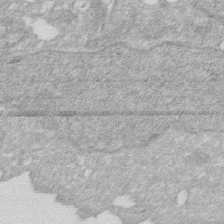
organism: Human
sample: HIV infected U937 cells